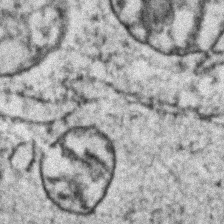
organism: Zebrafish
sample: Zebrafish embryo